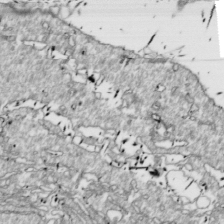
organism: Drosophila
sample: Cell division; meiosis; drosophila spermatocytes